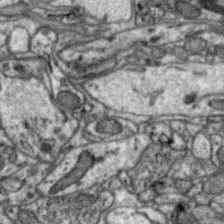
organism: Zebra finch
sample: Brain